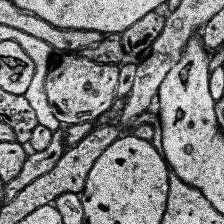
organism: Human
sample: Temporal Lobe